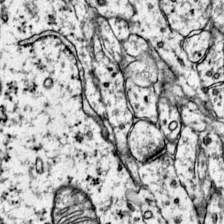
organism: Mouse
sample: Primary visual cortex